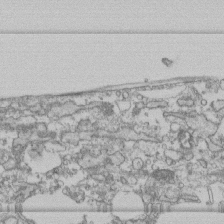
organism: Human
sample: Fibroblast cells